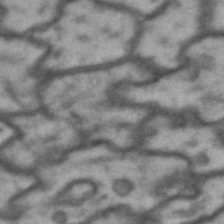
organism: Drosophila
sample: Brain